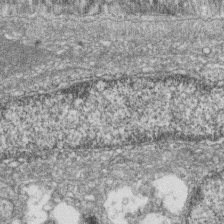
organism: Zebrafish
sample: Cilia; retinal pigment epithelium